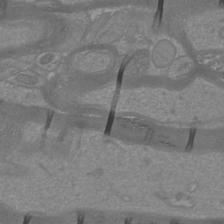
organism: Mouse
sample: Cortical neurons